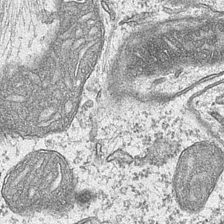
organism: Mouse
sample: CA1 Hippocampus